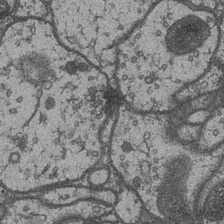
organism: Drosophila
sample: Optic medulla